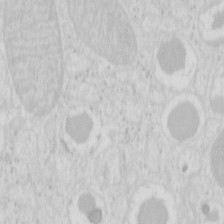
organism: Mouse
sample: Pancreas